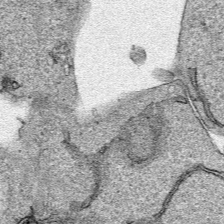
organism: Human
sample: Mitochondria in HCT116 cells